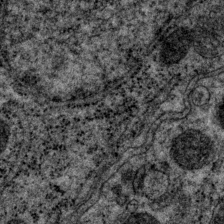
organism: P. pacificus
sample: Pharynx